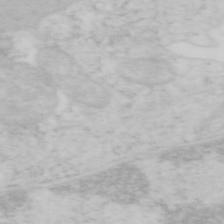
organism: Mouse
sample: OT-I killer T cells with ID8 ovarian cancer cells